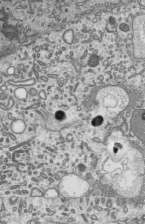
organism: Mouse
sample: Mouse epididymis efferent ductule cilia